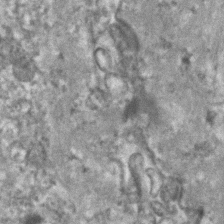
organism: Human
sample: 1205lu cells